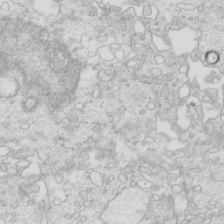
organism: Mouse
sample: Multiciliated cells